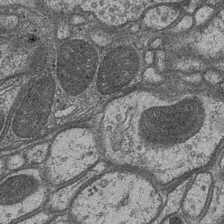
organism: Drosophila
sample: Optic medulla